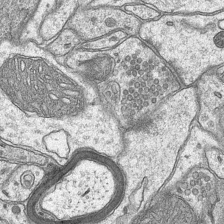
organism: Mouse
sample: CA1 Hippocampus